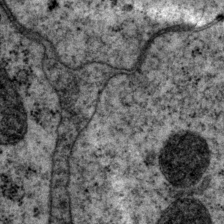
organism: P. pacificus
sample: Pharynx